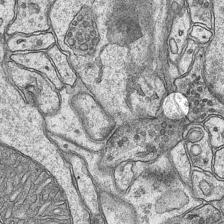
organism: Mouse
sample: CA1 Hippocampus